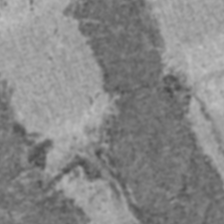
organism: C57BL Mouse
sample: Heart